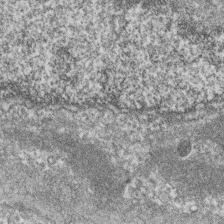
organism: Zebrafish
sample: Cilia; retinal pigment epithelium